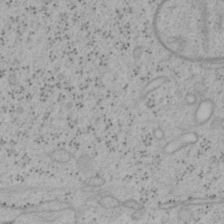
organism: Human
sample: HeLa cells